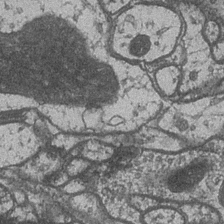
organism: Drosophila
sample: Optic medulla